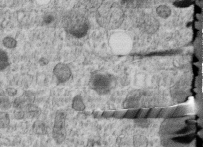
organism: C. elegans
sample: C. elegans embryo early stage